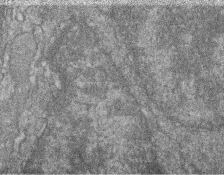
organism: Zebrafish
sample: Cilia; retinal pigment epithelium